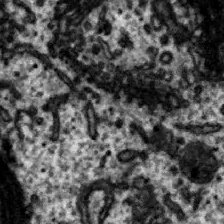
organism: Human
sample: HeLa cells